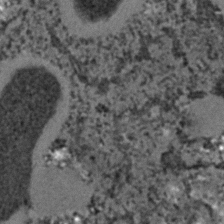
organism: C. elegans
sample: C. elegans embryo